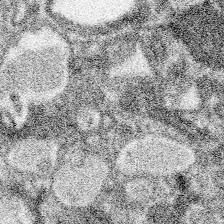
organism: Spongilla lacustris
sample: Neuroid cell